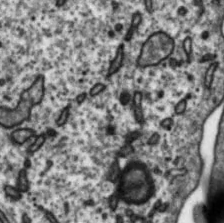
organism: Human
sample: HeLa cells